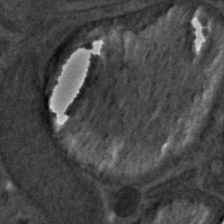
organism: C. elegans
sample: C. elegans embryo